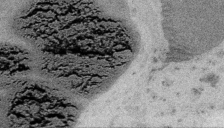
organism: Embia sp.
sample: Silk gland